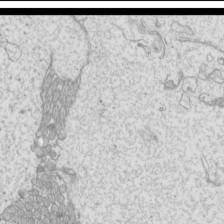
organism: Mouse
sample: Cilia; mouse epididymis